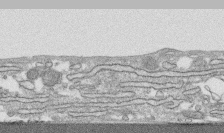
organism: Human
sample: CRL-1474